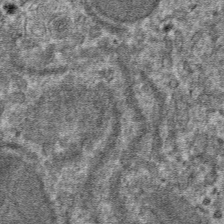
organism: Mouse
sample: Mouse hepatocytes